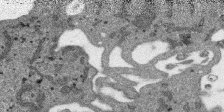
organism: Human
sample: Lung epithelial cells infected with SARS-CoV-2